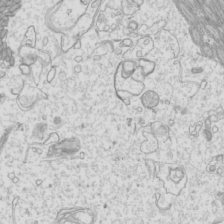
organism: Mouse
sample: Cilia; mouse epididymis